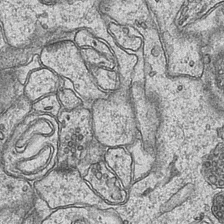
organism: Mouse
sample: CA1 Hippocampus